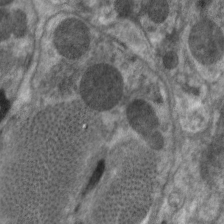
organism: C. elegans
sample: Pharynx